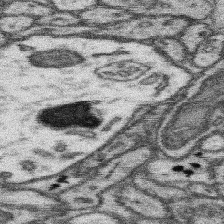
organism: Mouse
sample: Somatosensory cortex neuropil